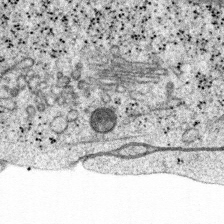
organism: Human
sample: HeLa cells